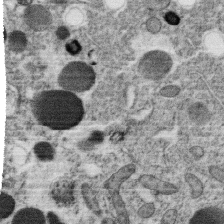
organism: C. elegans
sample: C. elegans oocyte; sperm cells